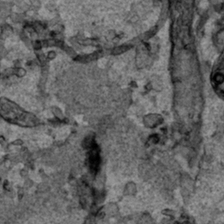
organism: Human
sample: Mitochondria in HCT116 cells